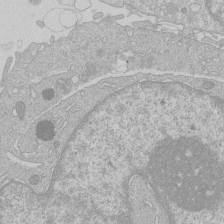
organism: Human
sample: Macrophage cells